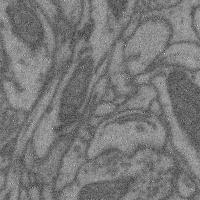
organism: Mouse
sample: Cerebral cortex